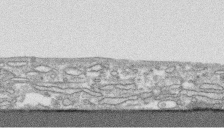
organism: Human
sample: CRL-1474